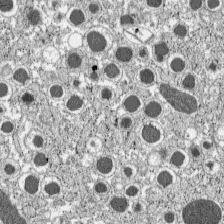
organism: C57BL Mouse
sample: Pancreatic islet